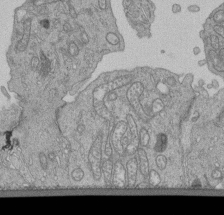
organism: Human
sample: Retinal organoid Rod and Cone cells